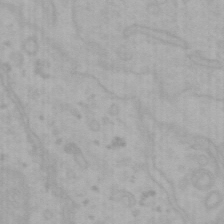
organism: Mouse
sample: Choroid plexus